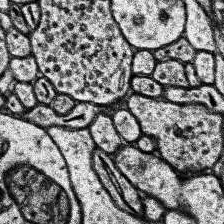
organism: Human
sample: Temporal Lobe